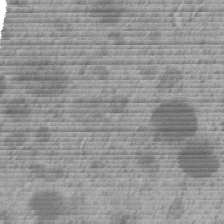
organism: C. elegans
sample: C. elegans embryo early stage